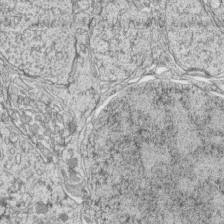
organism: Zebrafish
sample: synaptic ribbons in rod cells and cone cells